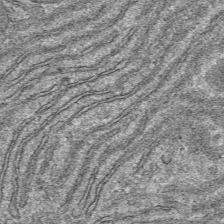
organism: Mouse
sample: Mouse hepatocytes